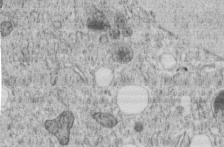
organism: C. elegans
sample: C. elegans embryo early stage